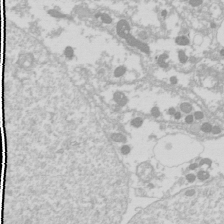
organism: Drosophila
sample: Cell division; meiosis; drosophila spermatocytes